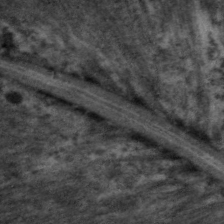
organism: C. elegans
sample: Pharynx